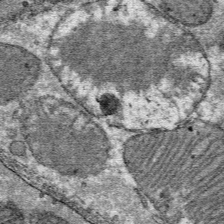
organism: Mouse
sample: Mouse Salivary gland